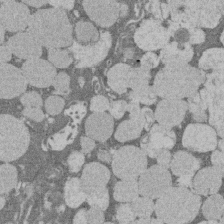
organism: Rat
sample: Salivary granule